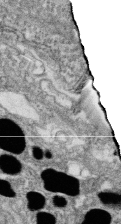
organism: Zebrafish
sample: Cilia; retinal pigment epithelium